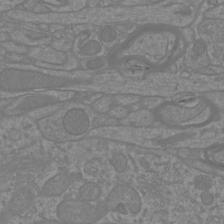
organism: Mouse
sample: Cortical neurons